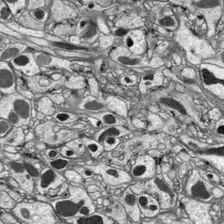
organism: Drosophila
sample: Optic lobe